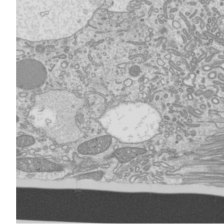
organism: Mouse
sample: Cilia; mouse epididymis